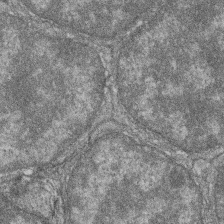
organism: Zebrafish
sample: Cilia; retinal pigment epithelium